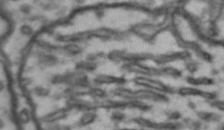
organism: Drosophila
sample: Brain